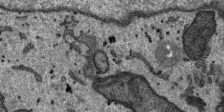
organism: Human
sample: Lung epithelial cells, uninfected (mock) control